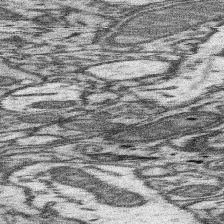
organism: Mouse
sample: Somatosensory cortex neuropil